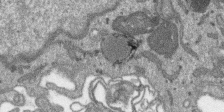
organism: Human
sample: Lung epithelial cells infected with SARS-CoV-2